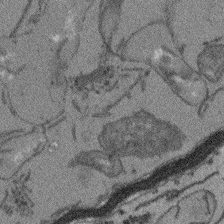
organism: Arabidopsis thaliana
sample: Root tip